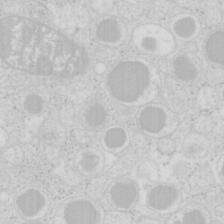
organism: Mouse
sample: Pancreas